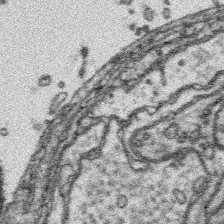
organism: Platynereis dumerilii